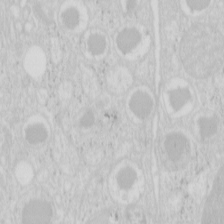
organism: Mouse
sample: Pancreas